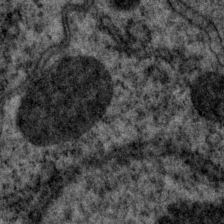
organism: P. pacificus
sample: Pharynx